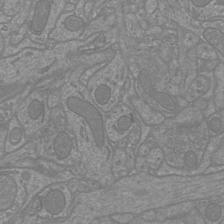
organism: Mouse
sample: Cortical neurons